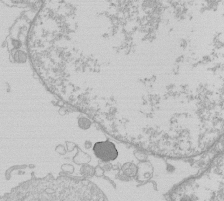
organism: Human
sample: Macrophage cells